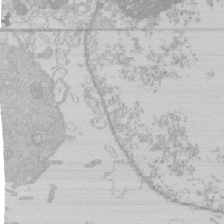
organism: Human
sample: Macrophage cells